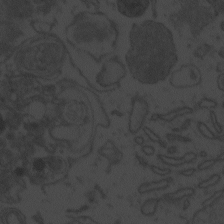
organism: Zebrafish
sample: Macrophage infected with Toxoplasma gondii